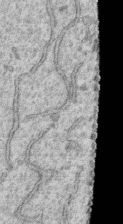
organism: Human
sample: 1205lu cells